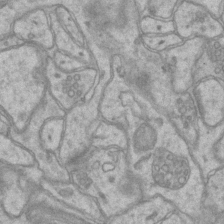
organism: Mouse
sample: CA1 Hippocampus